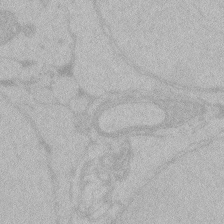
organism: Zebrafish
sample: Macrophage infected with Toxoplasma gondii